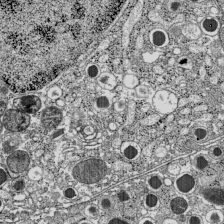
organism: C57BL Mouse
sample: Pancreatic islet